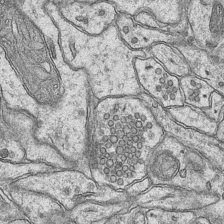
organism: Mouse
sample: CA1 Hippocampus